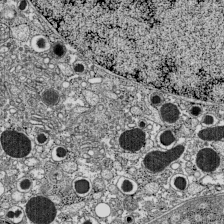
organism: C57BL Mouse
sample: Pancreatic islet